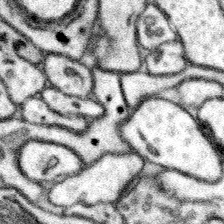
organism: Mouse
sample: Somatosensory cortex neuropil